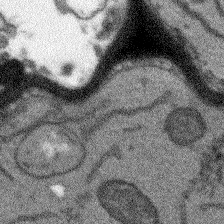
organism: Arabidopsis thaliana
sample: Root tip